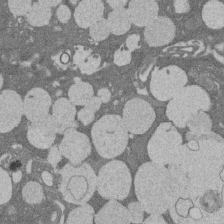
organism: Rat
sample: Salivary granule